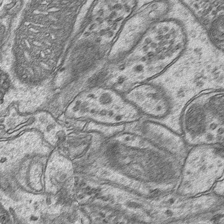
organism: Mouse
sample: CA1 Hippocampus